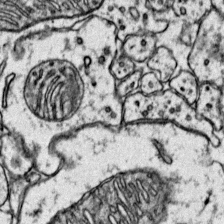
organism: Mouse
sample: Primary visual cortex